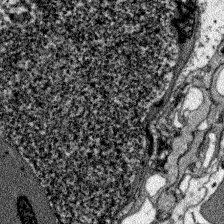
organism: Zebrafish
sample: Larval olfactory bulb